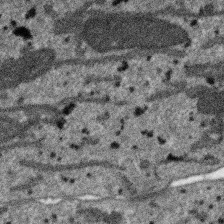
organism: Human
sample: Lung epithelial cells infected with SARS-CoV-2